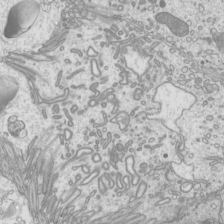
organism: Mouse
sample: Cilia; mouse epididymis